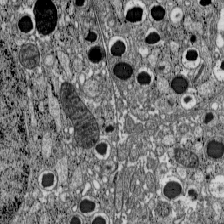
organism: C57BL Mouse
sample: Pancreatic islet